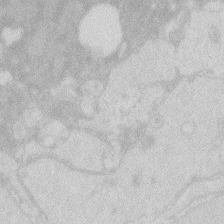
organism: Zebrafish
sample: Macrophage